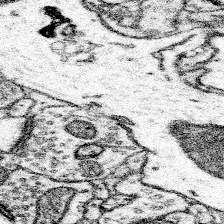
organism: Mouse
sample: Somatosensory cortex neuropil